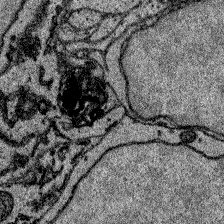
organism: Zebrafish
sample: Larval olfactory bulb